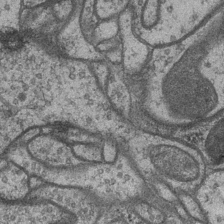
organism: Drosophila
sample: Optic medulla